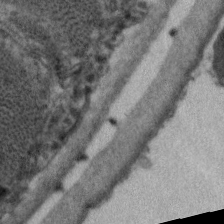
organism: C. elegans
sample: Pharynx